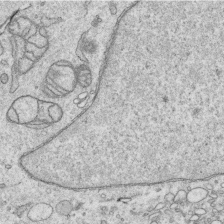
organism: Human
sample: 1205lu cells